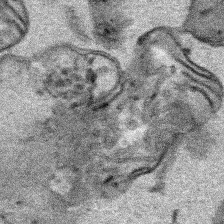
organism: Human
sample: Mitochondria in HCT116 cells